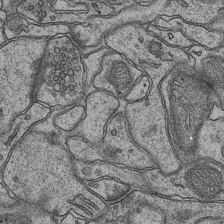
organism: Mouse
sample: CA1 Hippocampus